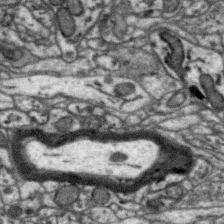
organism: Zebra finch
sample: Brain